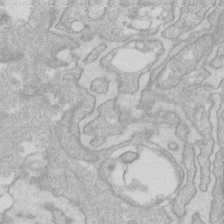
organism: Human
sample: Fibroblast cells